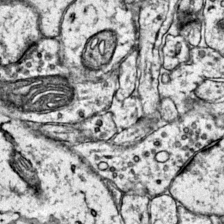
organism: Mouse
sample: Primary visual cortex